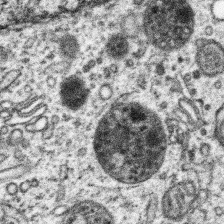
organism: Human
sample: HeLa cells